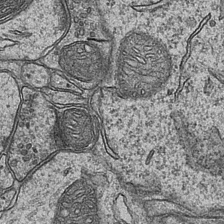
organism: Mouse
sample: CA1 Hippocampus